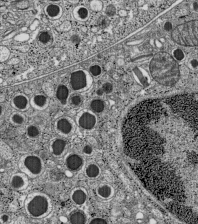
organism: C57BL Mouse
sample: Pancreatic islet